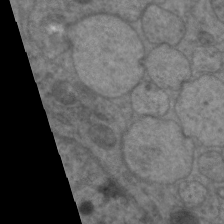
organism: C. elegans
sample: Pharynx